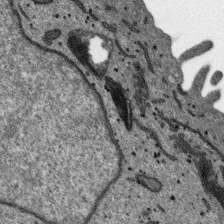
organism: Human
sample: Lung epithelial cells, uninfected (mock) control